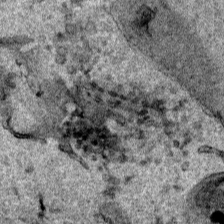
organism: Human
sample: Mitochondria in HCT116 cells